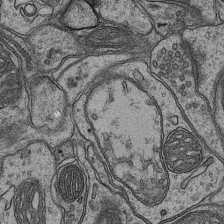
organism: Mouse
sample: CA1 Hippocampus